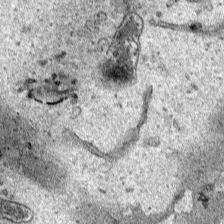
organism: Human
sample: Mitochondria in HCT116 cells